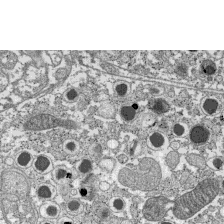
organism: C57BL Mouse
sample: Pancreatic islet